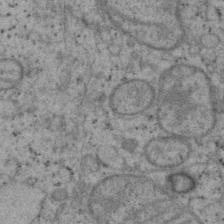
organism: Human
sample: HeLa cells